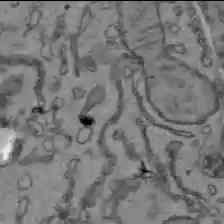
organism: C57BL Mouse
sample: Liver